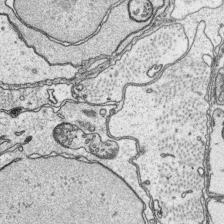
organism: Platynereis dumerilii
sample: Parapodia